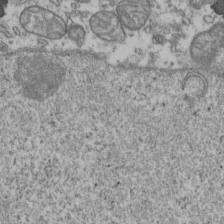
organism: Human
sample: Activated Jurkat CD4+ T cells